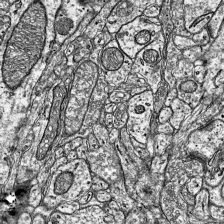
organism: Mouse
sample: Visual Cortex